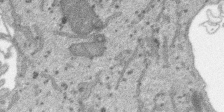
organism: Human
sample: Lung epithelial cells infected with SARS-CoV-2